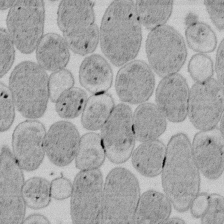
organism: E. coli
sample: Bacterial nucleoid